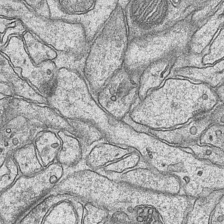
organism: Mouse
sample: CA1 Hippocampus